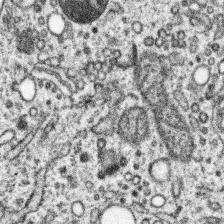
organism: Human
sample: HeLa cells